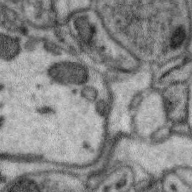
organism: Zebra finch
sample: Brain